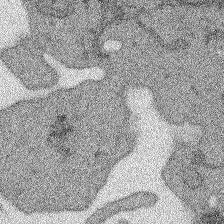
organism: Human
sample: HeLa cells